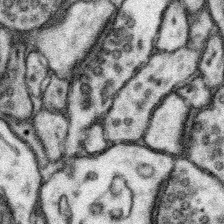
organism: Mouse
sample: Somatosensory cortex neuropil